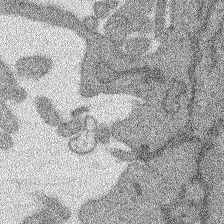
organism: Human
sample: HeLa cells